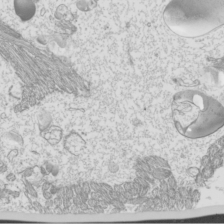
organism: Mouse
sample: Cilia; mouse epididymis